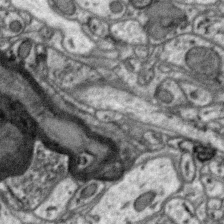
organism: Zebra finch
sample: Brain